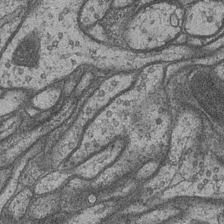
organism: Drosophila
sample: Optic medulla